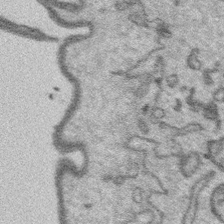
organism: Platynereis dumerilii